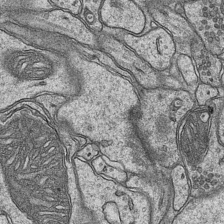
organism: Mouse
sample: CA1 Hippocampus